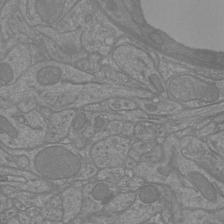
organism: Mouse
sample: Cortical neurons